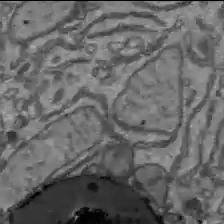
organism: C57BL Mouse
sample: Liver